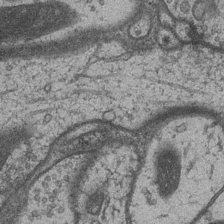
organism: Drosophila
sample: Optic medulla